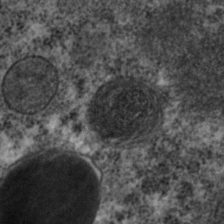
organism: C. elegans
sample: C. elegans embryo